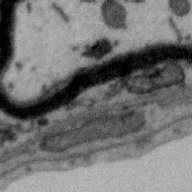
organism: Zebra finch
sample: Brain